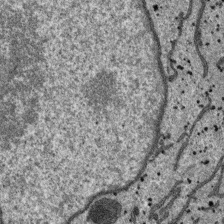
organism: Human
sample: Lung epithelial cells, uninfected (mock) control